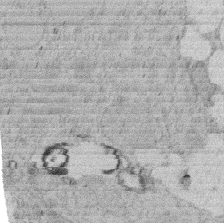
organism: Rat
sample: Salivary granule